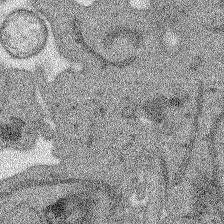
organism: Human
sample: HeLa cells